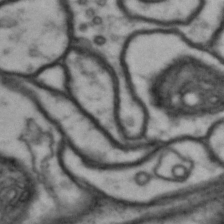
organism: Drosophila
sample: Brain